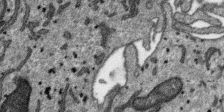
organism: Human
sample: Lung epithelial cells, uninfected (mock) control